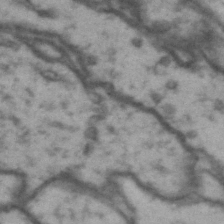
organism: Drosophila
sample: Brain